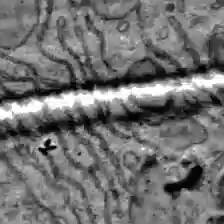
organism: C57BL Mouse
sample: Liver